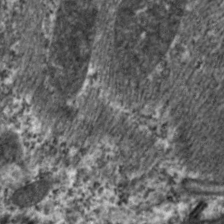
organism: C. elegans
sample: Pharynx